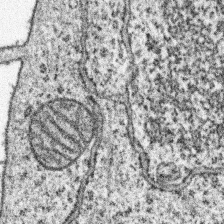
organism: Human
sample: HeLa cells